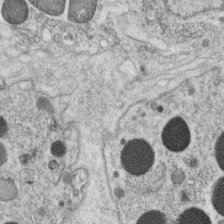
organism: C. elegans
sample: C. elegans oocyte; sperm cells